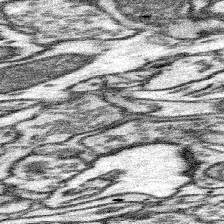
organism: Mouse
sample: Somatosensory cortex neuropil